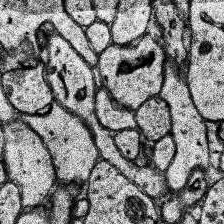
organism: Human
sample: Temporal Lobe